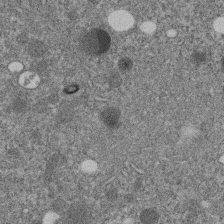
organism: C. elegans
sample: C. elegans embryo early stage